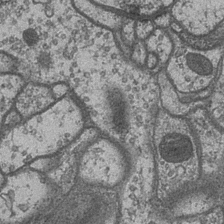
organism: Drosophila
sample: Optic medulla